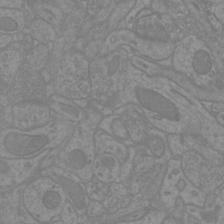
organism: Mouse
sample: Cortical neurons